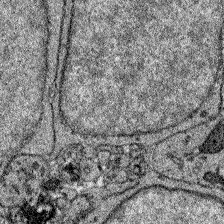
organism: Zebrafish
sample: Larval olfactory bulb